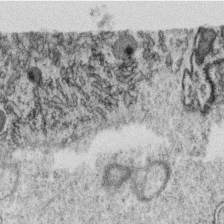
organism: C. elegans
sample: C. elegans oocyte; sperm cells